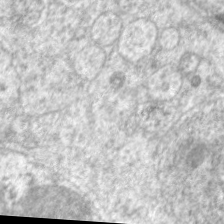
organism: C. elegans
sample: Pharynx